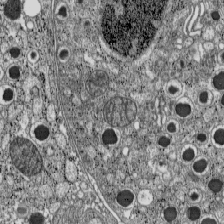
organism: C57BL Mouse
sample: Pancreatic islet